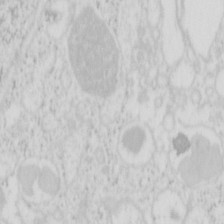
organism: Mouse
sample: Pancreas